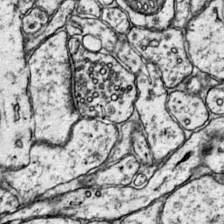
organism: Mouse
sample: Primary visual cortex